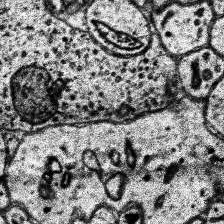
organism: Human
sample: Temporal Lobe